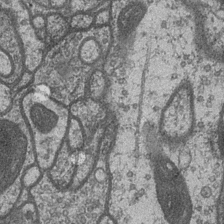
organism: Drosophila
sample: Optic medulla